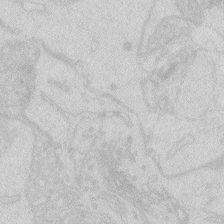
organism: Zebrafish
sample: Macrophage